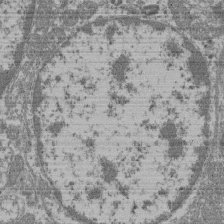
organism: Mouse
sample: Glomerulus